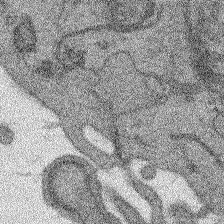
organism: Human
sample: HeLa cells